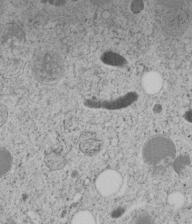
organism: C. elegans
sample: C. elegans embryo early stage